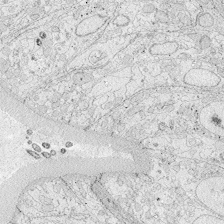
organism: Zebrafish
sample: Whole-Brain